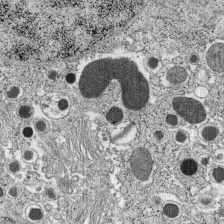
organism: C57BL Mouse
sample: Pancreatic islet